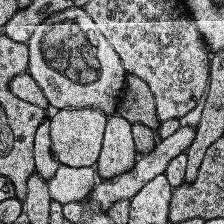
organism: Human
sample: Temporal Lobe